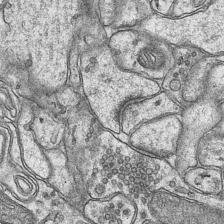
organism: Mouse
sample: CA1 Hippocampus